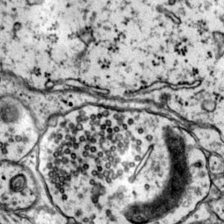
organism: Mouse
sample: Primary visual cortex